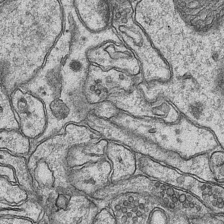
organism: Mouse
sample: CA1 Hippocampus